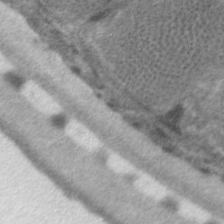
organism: C. elegans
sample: Pharynx